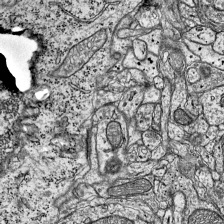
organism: Mouse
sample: Visual Cortex